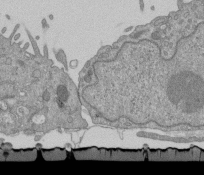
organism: Mouse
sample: ED-1 cell nuclei; centrioles